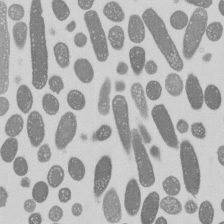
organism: E. coli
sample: Bacterial nucleoid